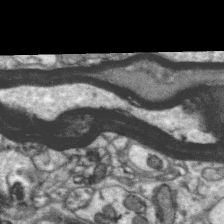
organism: Zebra finch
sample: Brain